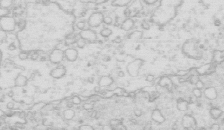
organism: Mouse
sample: Multiciliated cells